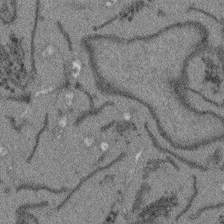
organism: Arabidopsis thaliana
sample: Root tip